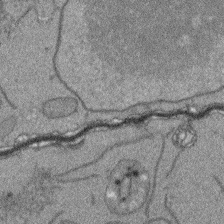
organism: Arabidopsis thaliana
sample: Root tip